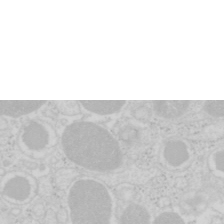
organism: Mouse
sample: Pancreas